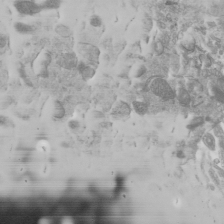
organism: Mouse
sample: Cilia; mouse epididymis